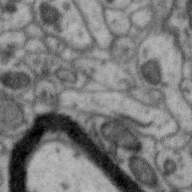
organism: Zebra finch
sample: Brain